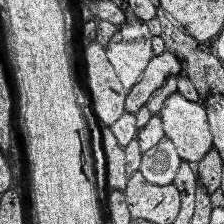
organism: Human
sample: Temporal Lobe